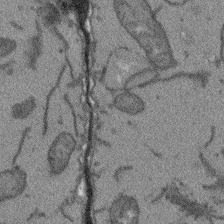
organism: Arabidopsis thaliana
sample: Root tip